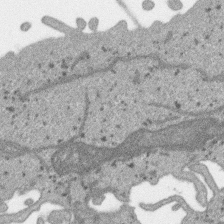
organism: Human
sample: Lung epithelial cells infected with SARS-CoV-2